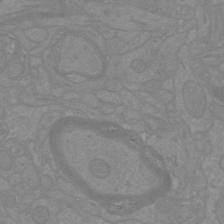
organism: Mouse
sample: Cortical neurons